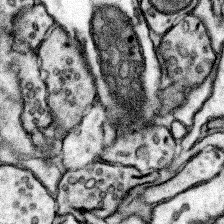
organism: Mouse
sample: Somatosensory cortex neuropil